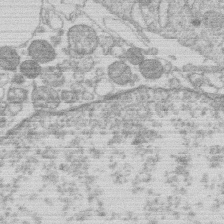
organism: Human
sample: Macrophage cells